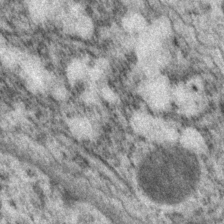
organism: P. pacificus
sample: Pharynx